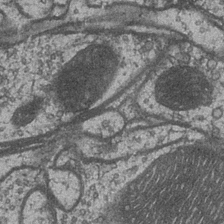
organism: Drosophila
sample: Optic medulla